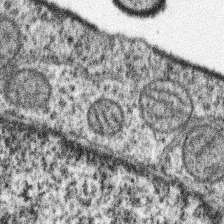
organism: Human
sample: HeLa cells